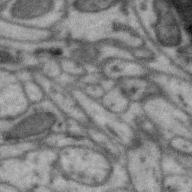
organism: Zebra finch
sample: Brain